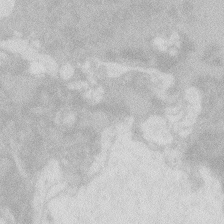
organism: Zebrafish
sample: Macrophage